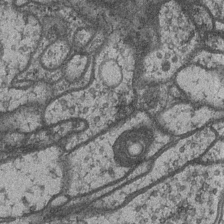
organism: Drosophila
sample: Optic medulla